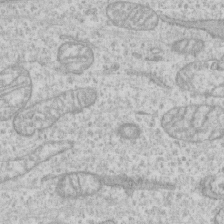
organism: Human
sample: CRL-1474